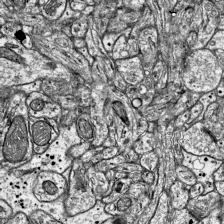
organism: Mouse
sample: Visual Cortex